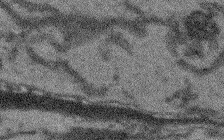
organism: Arabidopsis thaliana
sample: Root tip